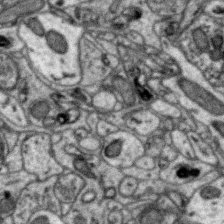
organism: Zebra finch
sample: Brain